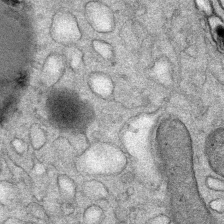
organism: Mouse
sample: Mouse Salivary gland